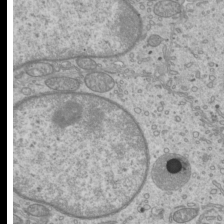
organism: Mouse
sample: Cilia; mouse epididymis